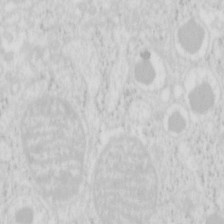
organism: Mouse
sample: Pancreas